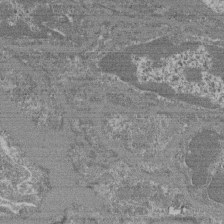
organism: Mouse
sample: Glomerulus